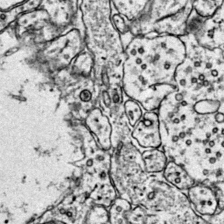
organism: Mouse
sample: Primary visual cortex